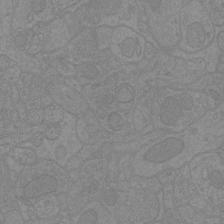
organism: Mouse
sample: Cortical neurons